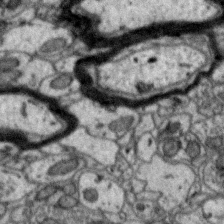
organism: Zebra finch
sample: Brain